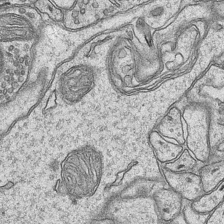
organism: Mouse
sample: CA1 Hippocampus